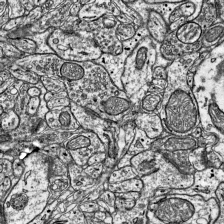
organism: Mouse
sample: Visual Cortex